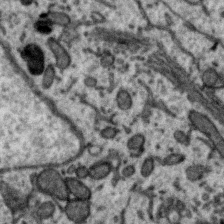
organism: Zebra finch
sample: Brain